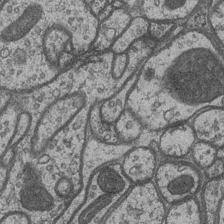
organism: Drosophila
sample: Optic medulla